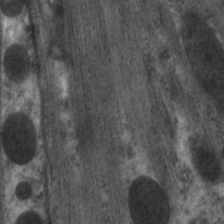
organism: C. elegans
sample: Pharynx